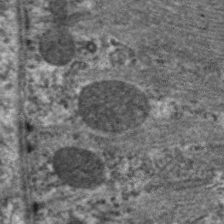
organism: C. elegans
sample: Pharynx